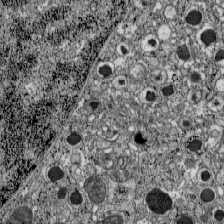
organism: C57BL Mouse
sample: Pancreatic islet